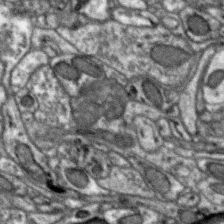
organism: Zebra finch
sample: Brain